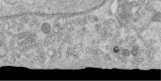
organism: Human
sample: Centriole in RPE cells